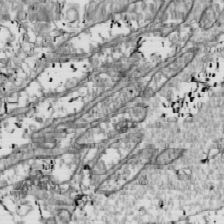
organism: Drosophila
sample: Cell division; meiosis; drosophila spermatocytes